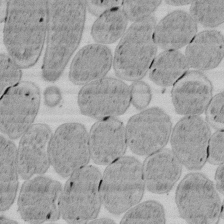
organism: E. coli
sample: Bacterial nucleoid